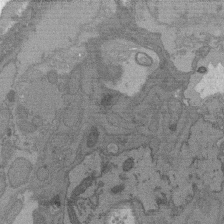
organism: C. elegans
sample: AFD neurons C. elegans